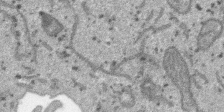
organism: Human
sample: Lung epithelial cells infected with SARS-CoV-2